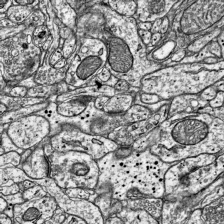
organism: Mouse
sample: Visual Cortex